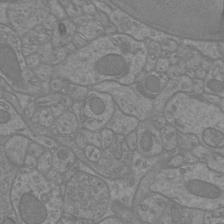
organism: Mouse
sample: Cortical neurons